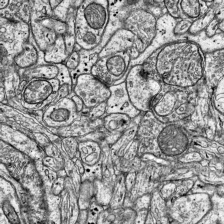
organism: Mouse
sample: Visual Cortex